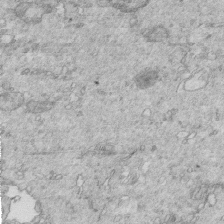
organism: Mouse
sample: Multiciliated cells